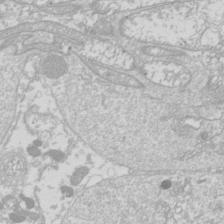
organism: Drosophila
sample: Cell division; meiosis; drosophila spermatocytes